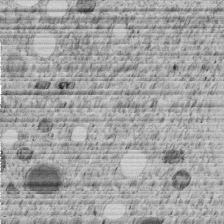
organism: C. elegans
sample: C. elegans embryo early stage